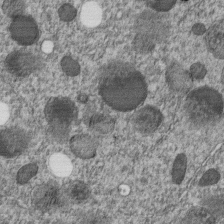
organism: C. elegans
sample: C. elegans embryo early stage